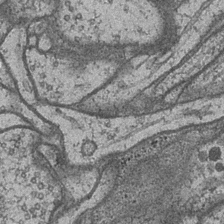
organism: Drosophila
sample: Optic medulla